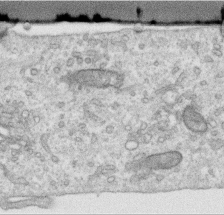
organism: Human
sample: Centriole in RPE cells